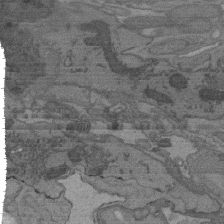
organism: C. elegans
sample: AFD neurons C. elegans